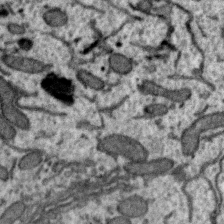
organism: Zebra finch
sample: Brain